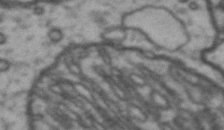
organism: Drosophila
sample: Brain